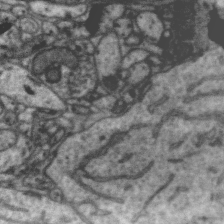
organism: Zebra finch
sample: Brain